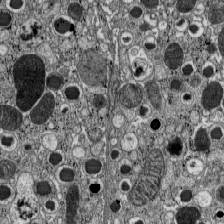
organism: C57BL Mouse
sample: Pancreatic islet